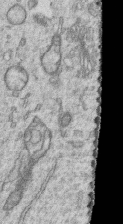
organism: Human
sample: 1205lu cells